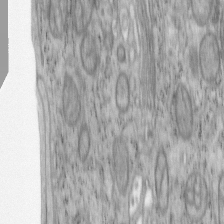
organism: Human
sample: HeLa cells